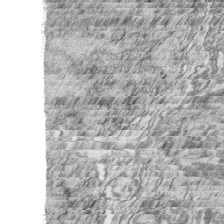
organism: Zebrafish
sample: synaptic ribbons in rod cells and cone cells